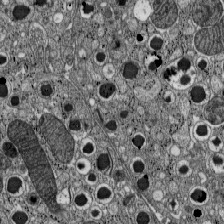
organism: C57BL Mouse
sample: Pancreatic islet